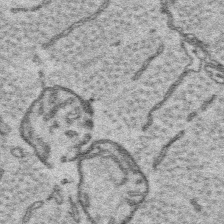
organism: Platynereis dumerilii